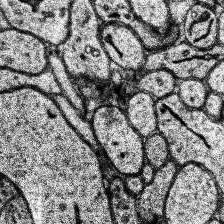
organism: Human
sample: Temporal Lobe